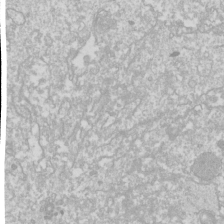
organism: Drosophila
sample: Cell division; meiosis; drosophila spermatocytes